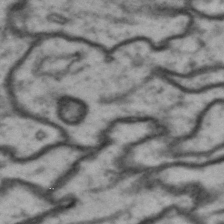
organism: Drosophila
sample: Brain